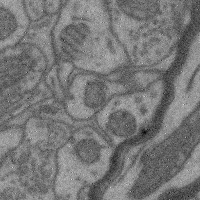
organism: Mouse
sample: Cerebral cortex